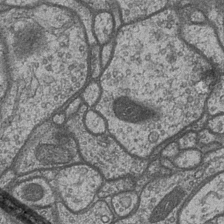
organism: Drosophila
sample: Optic medulla